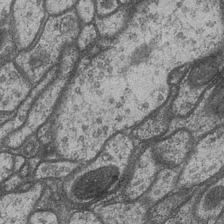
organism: Drosophila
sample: Optic medulla